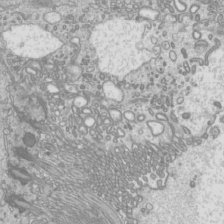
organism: Mouse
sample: Cilia; mouse epididymis